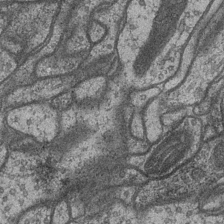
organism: Drosophila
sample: Optic medulla